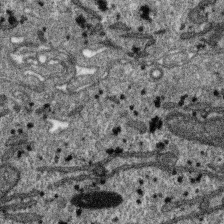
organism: Human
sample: Lung epithelial cells infected with SARS-CoV-2